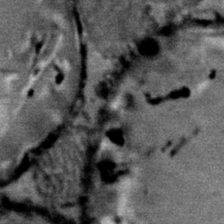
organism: Mouse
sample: Mouse Salivary gland